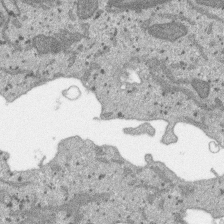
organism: Human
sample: Lung epithelial cells infected with SARS-CoV-2